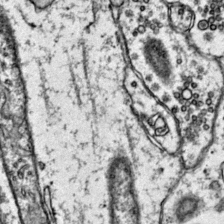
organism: Mouse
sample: Primary visual cortex